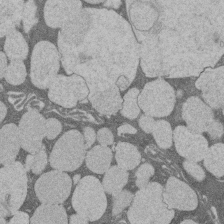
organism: Rat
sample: Salivary granule